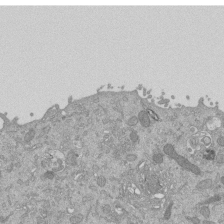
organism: Mouse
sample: ED-1 cell nuclei; centrioles